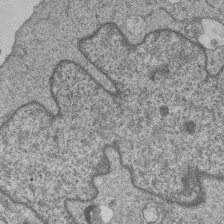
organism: Human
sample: MDA-MB-231 cells